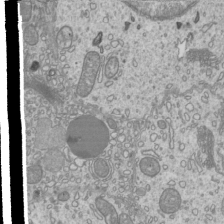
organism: Mouse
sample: Cilia; mouse epididymis